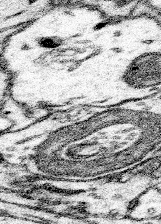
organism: Mouse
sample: Somatosensory cortex neuropil